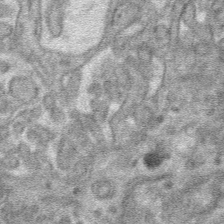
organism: Mouse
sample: Mouse hepatocytes